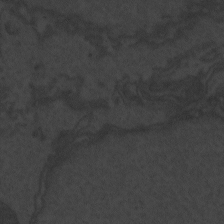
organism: Zebrafish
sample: Macrophage infected with Toxoplasma gondii